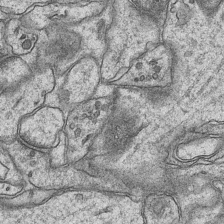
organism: Mouse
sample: CA1 Hippocampus